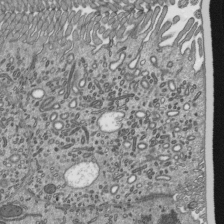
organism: Mouse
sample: Mouse epididymis efferent ductule cilia